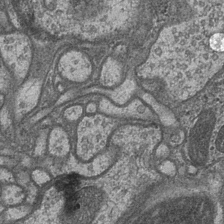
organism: Drosophila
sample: Optic medulla